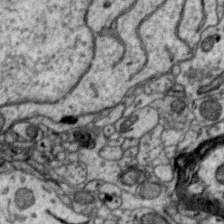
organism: Zebra finch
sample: Brain